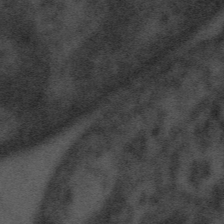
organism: Tuwongella immobilis